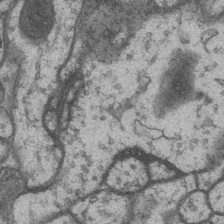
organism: Drosophila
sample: Optic medulla